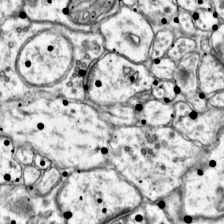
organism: Mouse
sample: Primary visual cortex